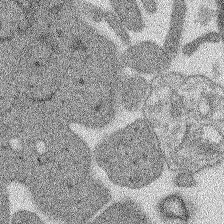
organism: Human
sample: HeLa cells